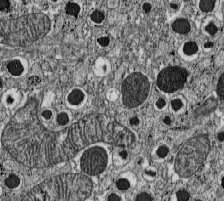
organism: C57BL Mouse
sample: Pancreatic islet